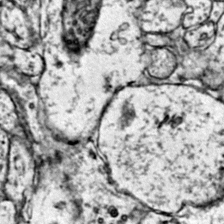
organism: Mouse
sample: Primary visual cortex